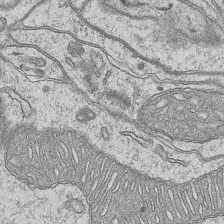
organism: Mouse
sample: CA1 Hippocampus